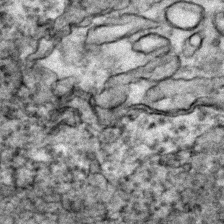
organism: Zebrafish